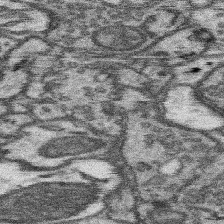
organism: Mouse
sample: Somatosensory cortex neuropil